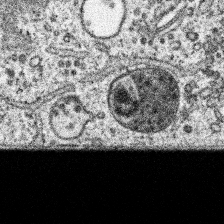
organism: Human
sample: HeLa cells